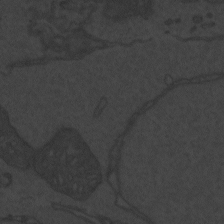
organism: Zebrafish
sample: Macrophage infected with Toxoplasma gondii